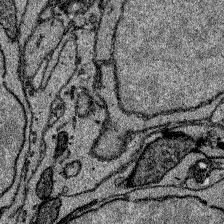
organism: Zebrafish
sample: Larval olfactory bulb